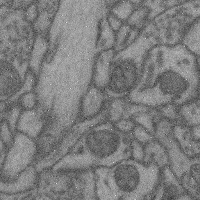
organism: Mouse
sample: Cerebral cortex